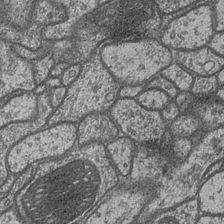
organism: Drosophila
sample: Optic medulla